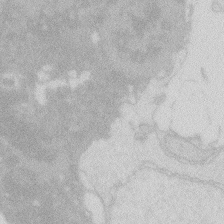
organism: Zebrafish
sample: Macrophage